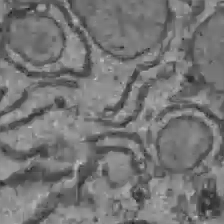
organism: C57BL Mouse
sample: Liver